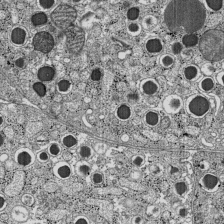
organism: C57BL Mouse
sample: Pancreatic islet